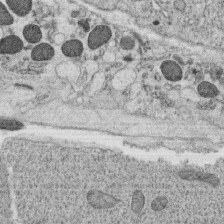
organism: C. elegans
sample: C. elegans oocyte; sperm cells